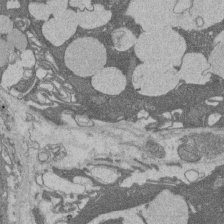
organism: Rat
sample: Salivary granule